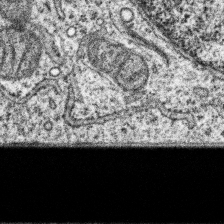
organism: Human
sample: HeLa cells